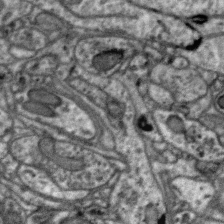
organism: Zebra finch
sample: Brain